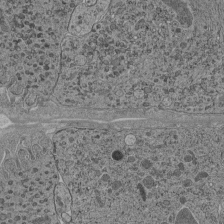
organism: C. elegans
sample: C. elegans pharynx